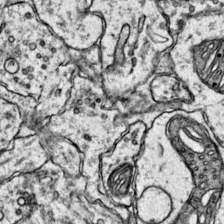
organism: Mouse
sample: Primary visual cortex